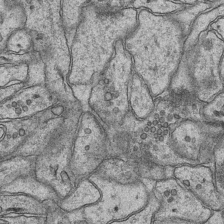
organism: Mouse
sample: CA1 Hippocampus